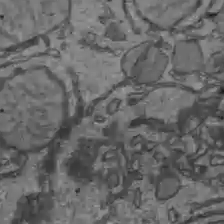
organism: C57BL Mouse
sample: Liver